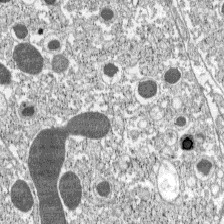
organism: C57BL Mouse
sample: Pancreatic islet